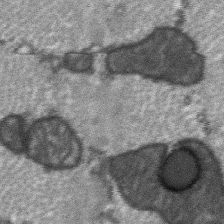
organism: C57BL Mouse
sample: Soleus